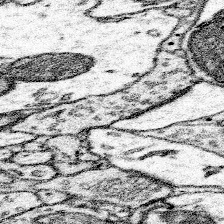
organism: Mouse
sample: Somatosensory cortex neuropil